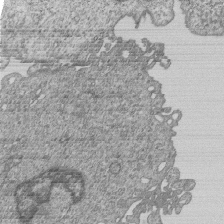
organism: Human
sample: MDA-MB-231 cells